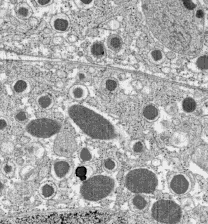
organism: C57BL Mouse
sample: Pancreatic islet